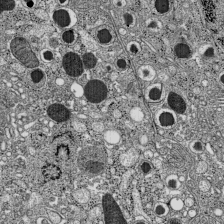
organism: C57BL Mouse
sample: Pancreatic islet